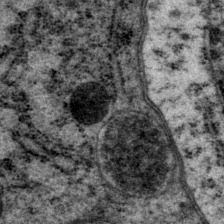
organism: P. pacificus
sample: Pharynx